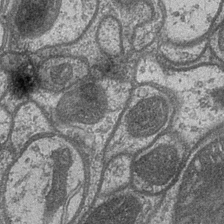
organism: Drosophila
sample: Optic medulla